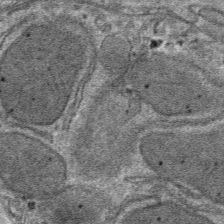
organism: Mouse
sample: Mouse hepatocytes